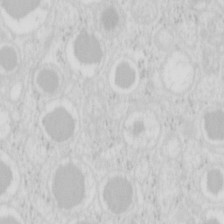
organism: Mouse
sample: Pancreas